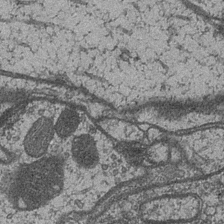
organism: Drosophila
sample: Optic medulla